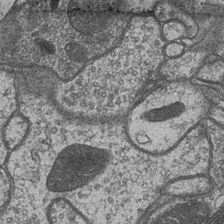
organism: Drosophila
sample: Optic medulla